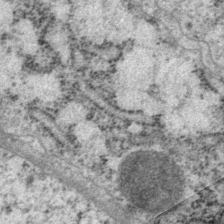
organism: P. pacificus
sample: Pharynx